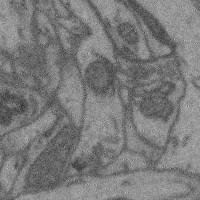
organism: Mouse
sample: Cerebral cortex